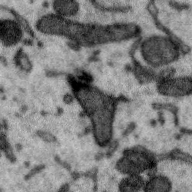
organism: Zebra finch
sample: Brain